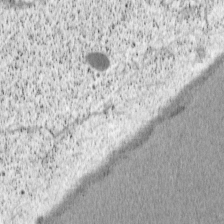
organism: African green monkey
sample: COS-7 cells